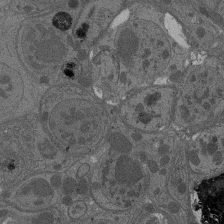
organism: Drosophila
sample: Antenna